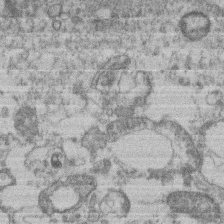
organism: Mouse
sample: T cell stromal cell synapse